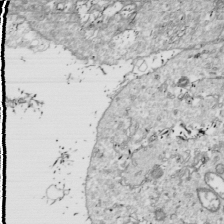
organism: Drosophila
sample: Cell division; meiosis; drosophila spermatocytes